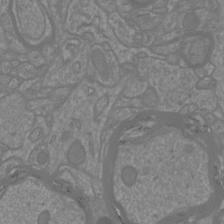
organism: Mouse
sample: Cortical neurons